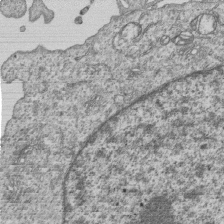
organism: Human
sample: MDA-MB-231 cells